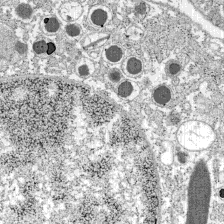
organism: C57BL Mouse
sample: Pancreatic islet